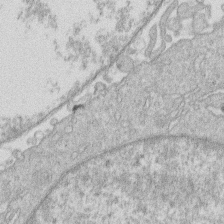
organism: Human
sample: Macrophage cells